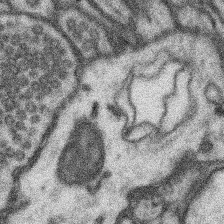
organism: Mouse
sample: Somatosensory cortex neuropil